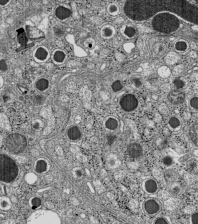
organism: C57BL Mouse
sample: Pancreatic islet